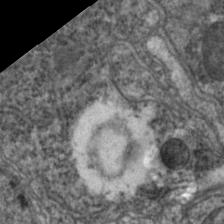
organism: C. elegans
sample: Pharynx